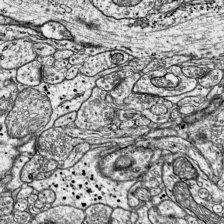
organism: Mouse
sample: Visual Cortex